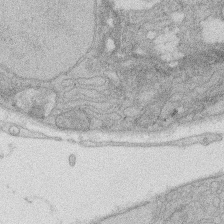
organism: Rat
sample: Salivary granule